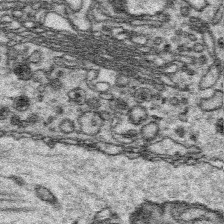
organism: Platynereis dumerilii